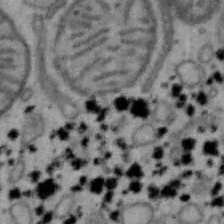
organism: Mouse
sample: Liver